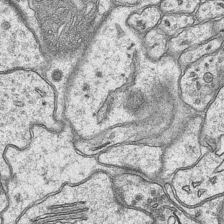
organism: Mouse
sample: CA1 Hippocampus